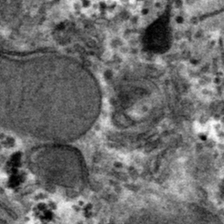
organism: Mouse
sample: Mouse hepatocytes